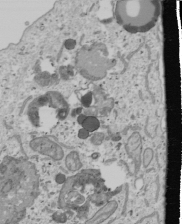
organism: Human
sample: Mitochondria in U2OS cells